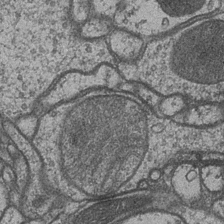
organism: Drosophila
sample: Optic medulla